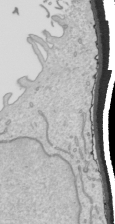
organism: Human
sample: Mitochondria in HCT116 cells